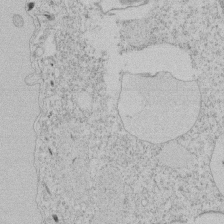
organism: Tetrahymena